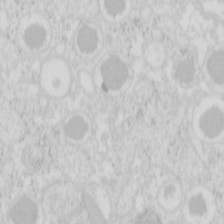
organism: Mouse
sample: Pancreas